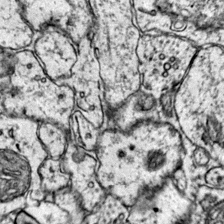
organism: Mouse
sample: Primary visual cortex